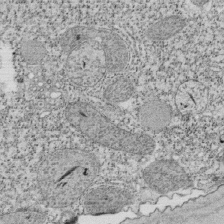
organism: Tetrahymena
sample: Cilia in tetrahymena